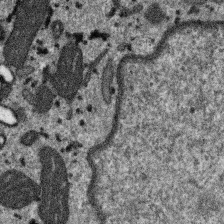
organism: Human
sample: Lung epithelial cells infected with SARS-CoV-2